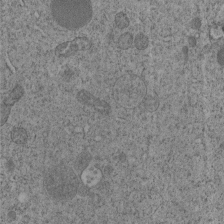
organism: C. elegans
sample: C. elegans embryo early stage